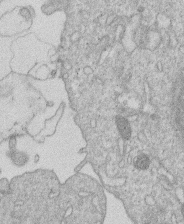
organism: Human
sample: Macrophage cells